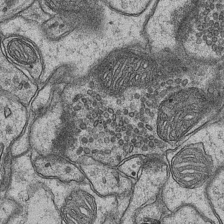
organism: Mouse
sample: CA1 Hippocampus